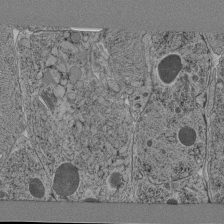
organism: C. elegans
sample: C. elegans pharynx